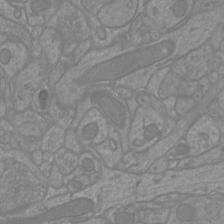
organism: Mouse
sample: Cortical neurons